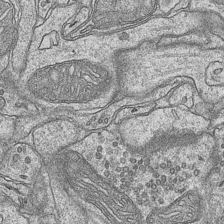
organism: Mouse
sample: CA1 Hippocampus